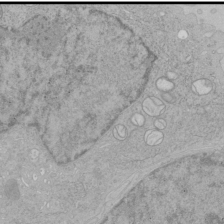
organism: Human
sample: Mitochondria in HCT116 cells